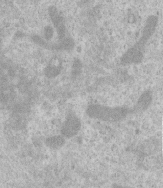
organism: Human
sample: Centriole in RPE cells